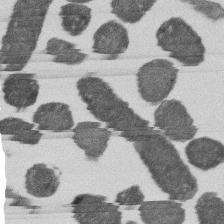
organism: E. coli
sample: Bacterial nucleoid